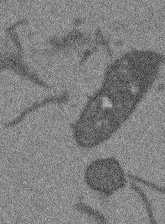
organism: Arabidopsis thaliana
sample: Root tip